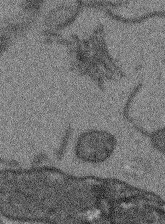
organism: Arabidopsis thaliana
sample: Root tip